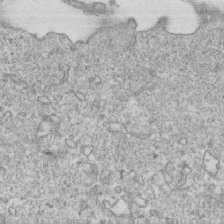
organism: Mouse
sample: Activated OT-1 CD8+ T cells